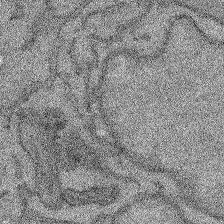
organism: Human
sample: HeLa cells